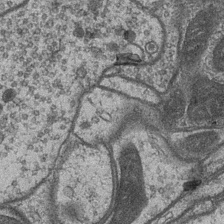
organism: Drosophila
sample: Optic medulla